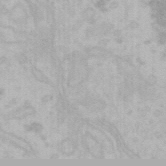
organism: Mouse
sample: Choroid plexus